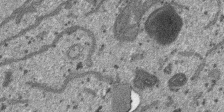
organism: Human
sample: Lung epithelial cells infected with SARS-CoV-2